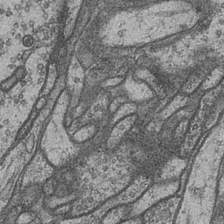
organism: Drosophila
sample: Optic medulla